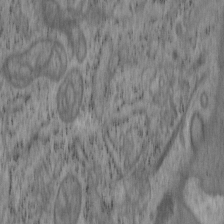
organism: Human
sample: HeLa cells